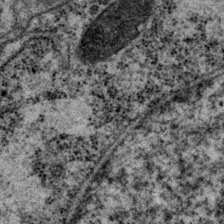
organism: P. pacificus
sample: Pharynx